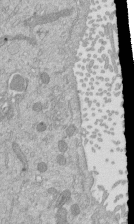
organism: Mouse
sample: ED-1 cell nuclei; centrioles